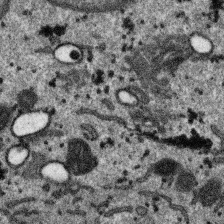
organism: Human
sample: Lung epithelial cells infected with SARS-CoV-2